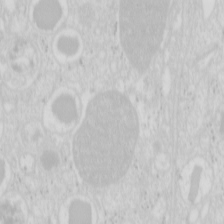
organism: Mouse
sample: Pancreas